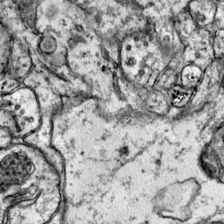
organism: Mouse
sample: Primary visual cortex